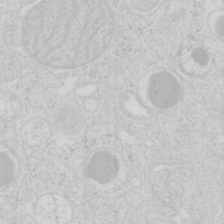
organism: Mouse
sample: Pancreas